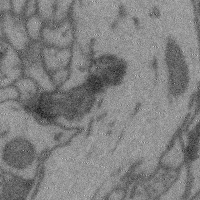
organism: Mouse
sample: Cerebral cortex